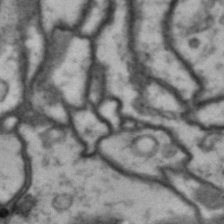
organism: Drosophila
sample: Brain